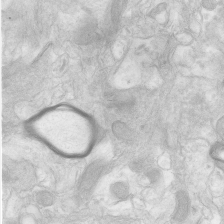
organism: Human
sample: Neocortex